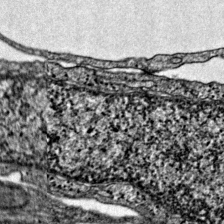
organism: Mouse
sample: Primary visual cortex